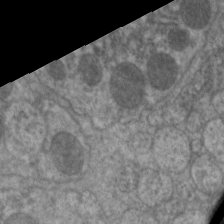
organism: C. elegans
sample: Pharynx